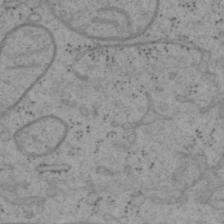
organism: Human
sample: HeLa cells